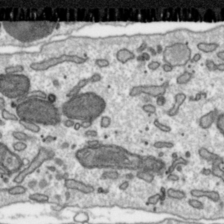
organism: Toxoplasma gondii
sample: Parasites in a vacuole inside a host cell